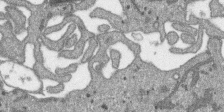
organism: Human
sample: Lung epithelial cells infected with SARS-CoV-2